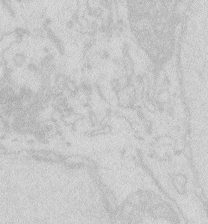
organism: Zebrafish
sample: Macrophage